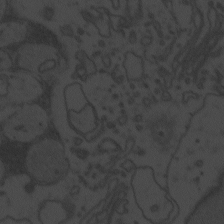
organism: Zebrafish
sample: Macrophage infected with Toxoplasma gondii